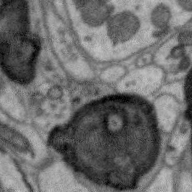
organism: Zebra finch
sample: Brain